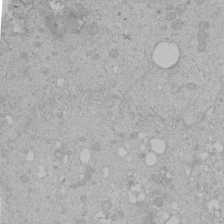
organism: Human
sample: Melanocyte Keratinocyte synapse skin construct